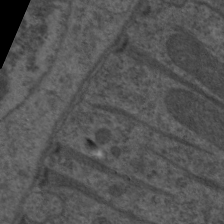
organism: C. elegans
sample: Pharynx